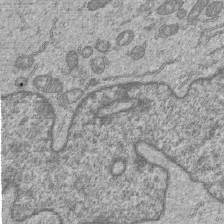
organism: Human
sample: MDA-MB-231 cells